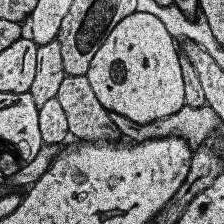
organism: Human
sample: Temporal Lobe